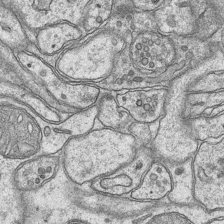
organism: Mouse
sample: CA1 Hippocampus